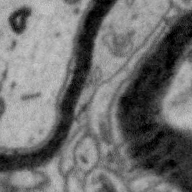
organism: Zebra finch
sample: Brain